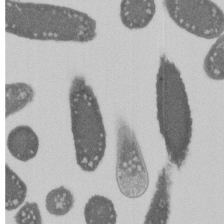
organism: E. coli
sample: Bacterial nucleoid